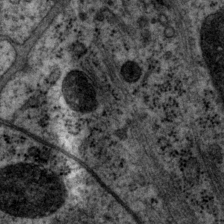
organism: P. pacificus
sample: Pharynx